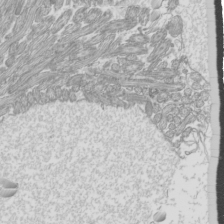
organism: Mouse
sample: Cilia; mouse epididymis